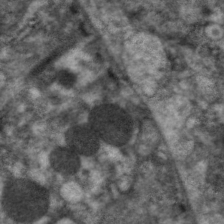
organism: C. elegans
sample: Pharynx